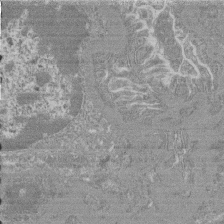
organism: Mouse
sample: Glomerulus